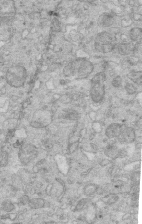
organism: Mouse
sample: Multiciliated cells